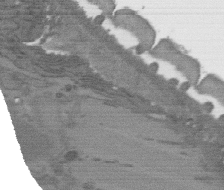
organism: C. elegans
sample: AFD neurons C. elegans